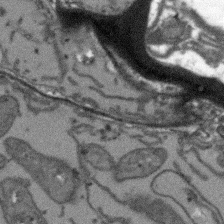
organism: Arabidopsis thaliana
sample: Root tip